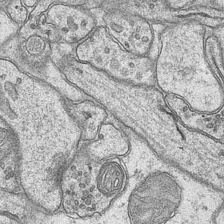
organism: Mouse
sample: CA1 Hippocampus